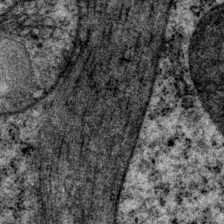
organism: P. pacificus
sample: Pharynx